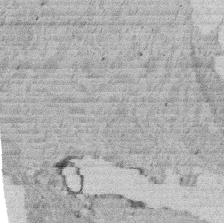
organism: Rat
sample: Salivary granule